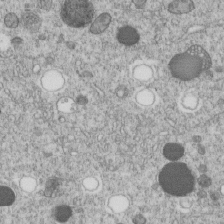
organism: C. elegans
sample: C. elegans embryo early stage